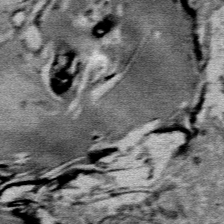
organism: Mouse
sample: Mouse Salivary gland